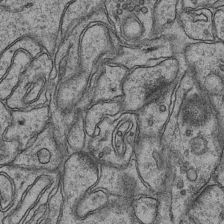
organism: Mouse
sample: CA1 Hippocampus